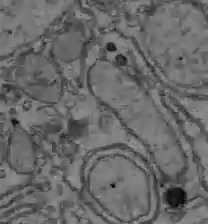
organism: C57BL Mouse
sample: Liver